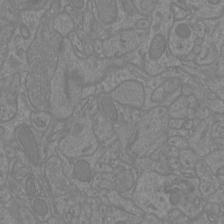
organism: Mouse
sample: Cortical neurons